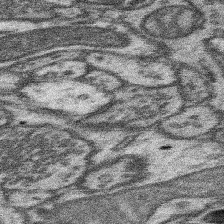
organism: Mouse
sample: Somatosensory cortex neuropil